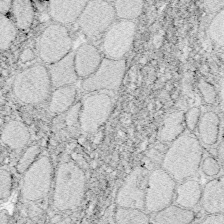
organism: Zebrafish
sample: Whole-Brain